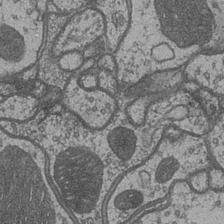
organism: Drosophila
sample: Optic medulla